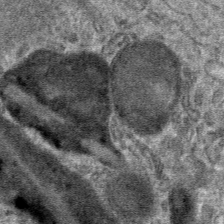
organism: Mouse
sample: Mouse hepatocytes